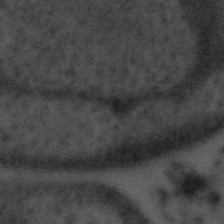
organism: Tuwongella immobilis